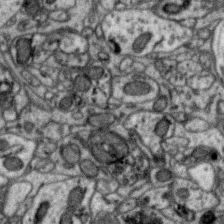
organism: Zebra finch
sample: Brain